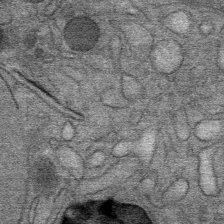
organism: Mouse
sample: Mouse Salivary gland